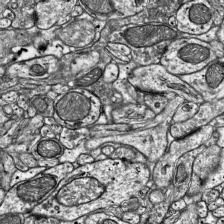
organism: Mouse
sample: Visual Cortex